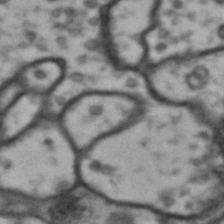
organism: Drosophila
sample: Brain